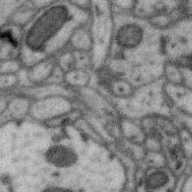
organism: Zebra finch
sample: Brain